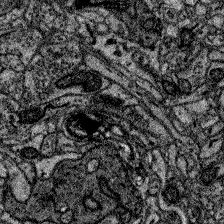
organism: Zebrafish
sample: Larval olfactory bulb